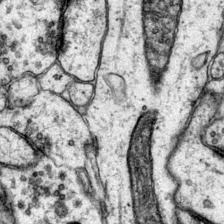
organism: Mouse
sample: Primary visual cortex